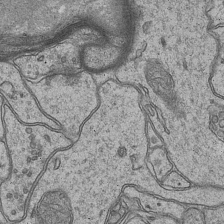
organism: Mouse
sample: CA1 Hippocampus